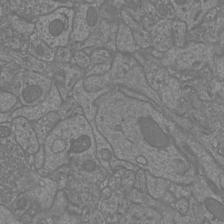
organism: Mouse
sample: Cortical neurons